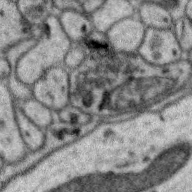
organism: Zebra finch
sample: Brain